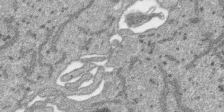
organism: Human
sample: Lung epithelial cells infected with SARS-CoV-2